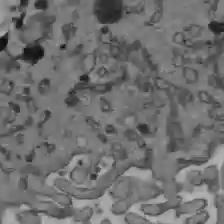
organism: C57BL Mouse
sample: Liver